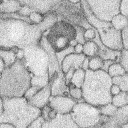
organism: Rabbit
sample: Retina